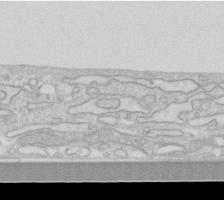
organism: Human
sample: Fibroblast cells